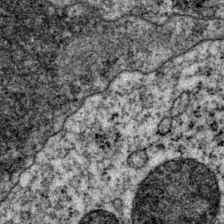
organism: P. pacificus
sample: Pharynx